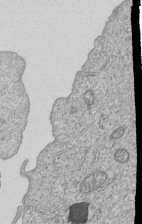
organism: Human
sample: MDA-MB-231 cells